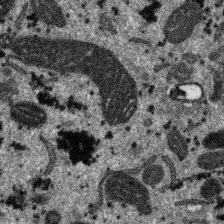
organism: Human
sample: Lung epithelial cells infected with SARS-CoV-2